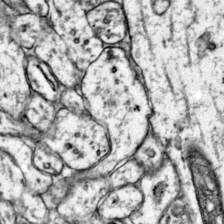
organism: Mouse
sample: Primary visual cortex